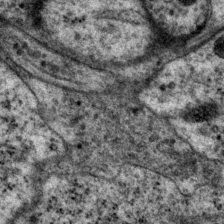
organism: P. pacificus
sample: Pharynx